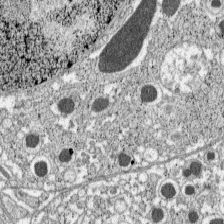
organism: C57BL Mouse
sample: Pancreatic islet